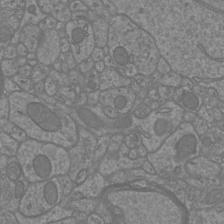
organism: Mouse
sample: Cortical neurons